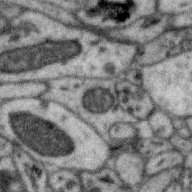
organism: Zebra finch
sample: Brain